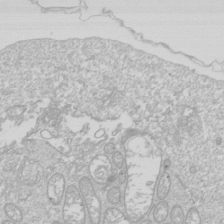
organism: Drosophila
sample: Cell division; meiosis; drosophila spermatocytes